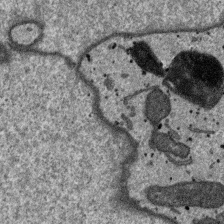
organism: Human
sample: Lung epithelial cells, uninfected (mock) control